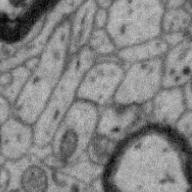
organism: Zebra finch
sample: Brain